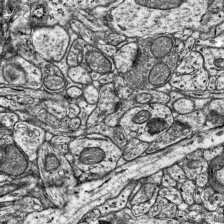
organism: Mouse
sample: Visual Cortex